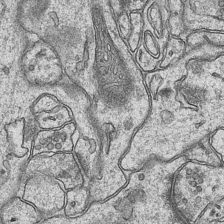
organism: Mouse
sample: CA1 Hippocampus